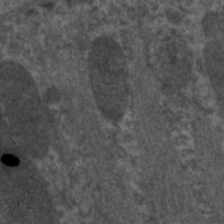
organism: C. elegans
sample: Pharynx